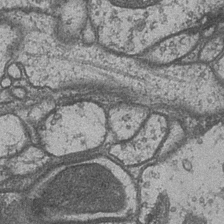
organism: Drosophila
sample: Optic medulla